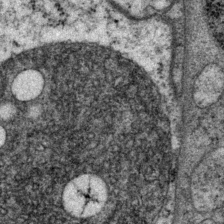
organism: P. pacificus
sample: Pharynx